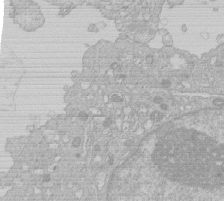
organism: Human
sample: Macrophage cells